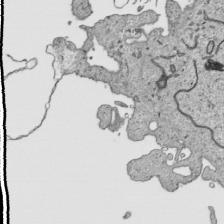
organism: Human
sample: Mitochondria in HCT116 cells